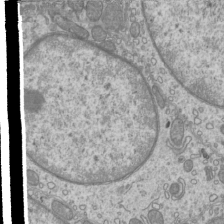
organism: Mouse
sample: Cilia; mouse epididymis